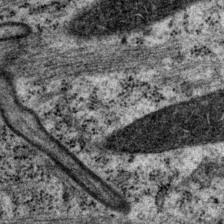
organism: P. pacificus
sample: Pharynx